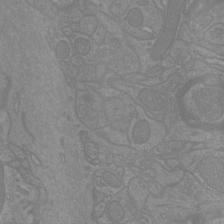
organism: Mouse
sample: Cortical neurons